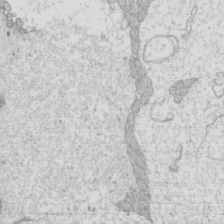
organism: Mouse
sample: Cilia; mouse epididymis